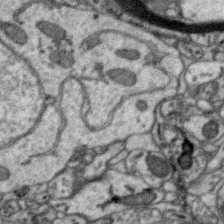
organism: Zebra finch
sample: Brain